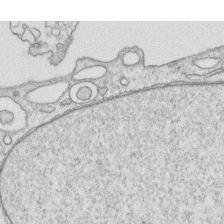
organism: Human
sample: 1205lu cells